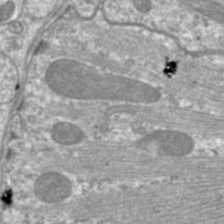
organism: C. elegans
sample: Pharynx